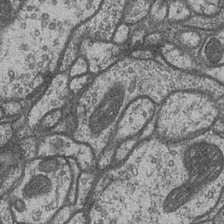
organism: Drosophila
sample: Optic medulla